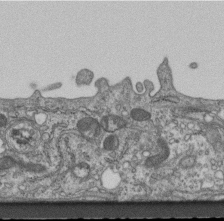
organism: Mouse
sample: Centriole in ependymal cells